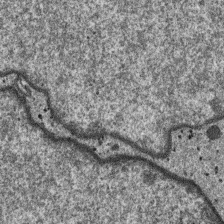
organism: Human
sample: Lung epithelial cells infected with SARS-CoV-2